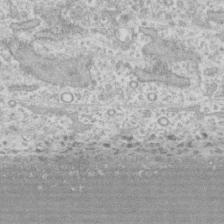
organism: Human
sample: CRL-1474